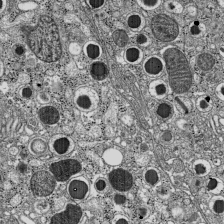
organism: C57BL Mouse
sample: Pancreatic islet